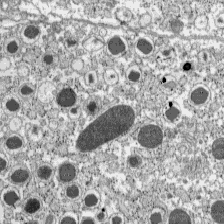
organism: C57BL Mouse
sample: Pancreatic islet